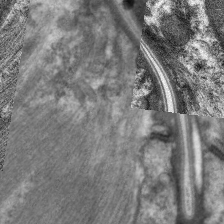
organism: C. elegans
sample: Pharynx